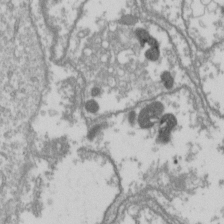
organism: Drosophila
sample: Cell division; meiosis; drosophila spermatocytes